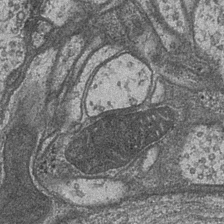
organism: Drosophila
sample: Optic medulla